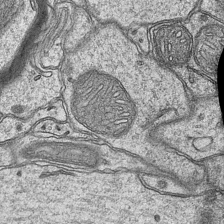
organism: Mouse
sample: CA1 Hippocampus